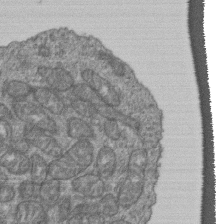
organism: Human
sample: Retinal organoid Rod and Cone cells